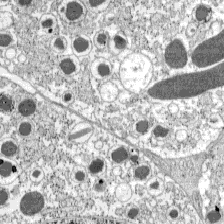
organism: C57BL Mouse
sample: Pancreatic islet